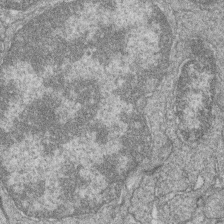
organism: Zebrafish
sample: Cilia; retinal pigment epithelium